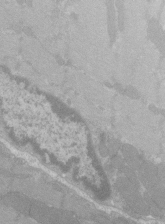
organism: C57BL Mouse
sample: Tibialis anterior muscle cell